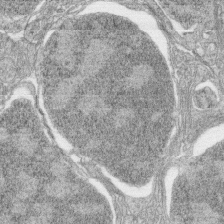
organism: Zebrafish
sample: synaptic ribbons in rod cells and cone cells